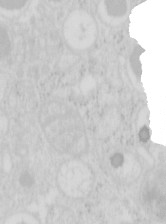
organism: Mouse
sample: Pancreas